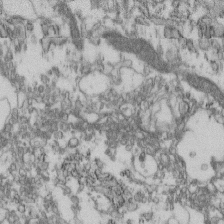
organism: Mouse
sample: Cilia; retinal pigment epithelium